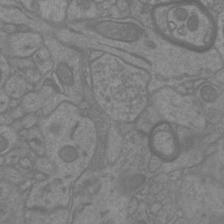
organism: Mouse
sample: Cortical neurons